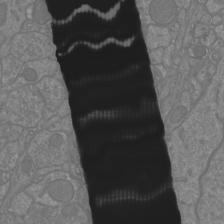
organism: Mouse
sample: Cortical neurons